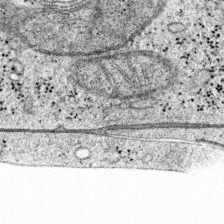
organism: Human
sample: HeLa cells